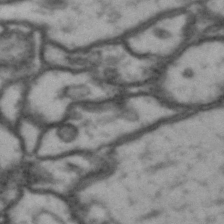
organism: Drosophila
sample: Brain